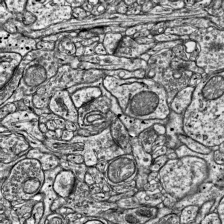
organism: Mouse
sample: Visual Cortex